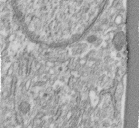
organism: Human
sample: Centriole in fibroblast cells